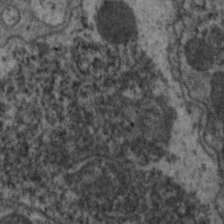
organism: C. elegans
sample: Pharynx